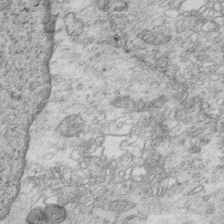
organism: Mouse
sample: Multiciliated cells